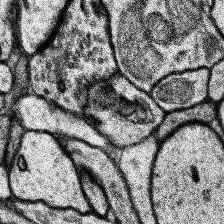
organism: Human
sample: Temporal Lobe